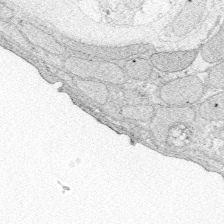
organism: Zebrafish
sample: Whole-Brain